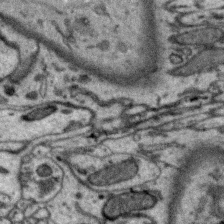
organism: Zebra finch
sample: Brain